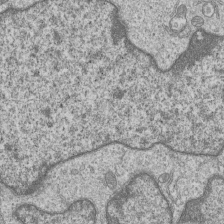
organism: Human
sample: MDA-MB-231 cells